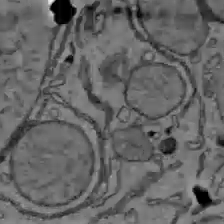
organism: C57BL Mouse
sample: Liver